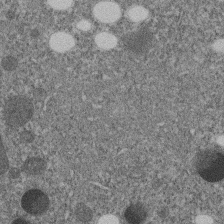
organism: C. elegans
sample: C. elegans embryo early stage